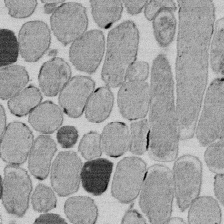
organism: E. coli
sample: Bacterial nucleoid